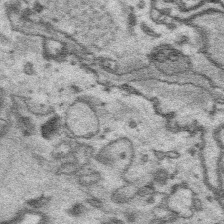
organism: Platynereis dumerilii